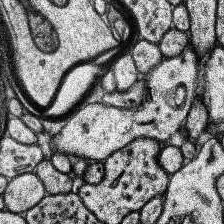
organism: Human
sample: Temporal Lobe